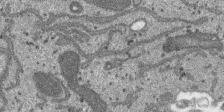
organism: Human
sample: Lung epithelial cells infected with SARS-CoV-2